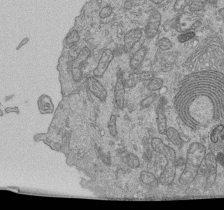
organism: Human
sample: Retinal organoid Rod and Cone cells